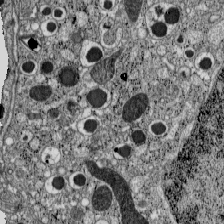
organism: C57BL Mouse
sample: Pancreatic islet